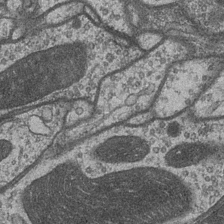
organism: Drosophila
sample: Optic medulla